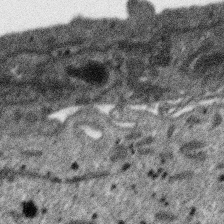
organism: Human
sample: Lung epithelial cells infected with SARS-CoV-2